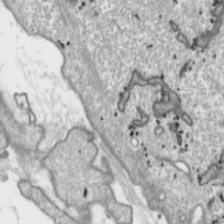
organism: Toxoplasma gondii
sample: Parasites in a vacuole inside a host cell